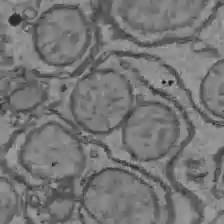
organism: C57BL Mouse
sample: Liver